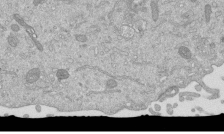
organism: Mouse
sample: ED-1 cell nuclei; centrioles